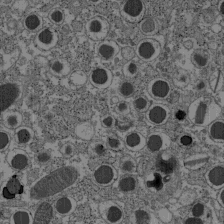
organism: C57BL Mouse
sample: Pancreatic islet